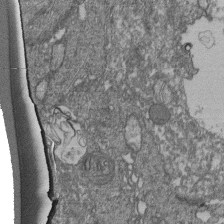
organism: Human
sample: Retinal organoid Rod and Cone cells